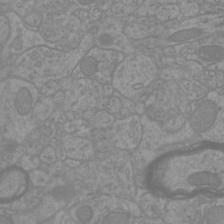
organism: Mouse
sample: Cortical neurons